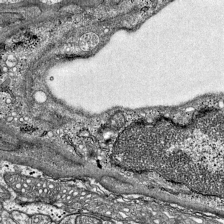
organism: Mouse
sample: Visual Cortex